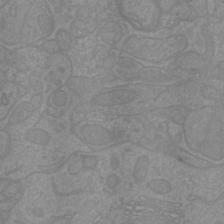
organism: Mouse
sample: Cortical neurons